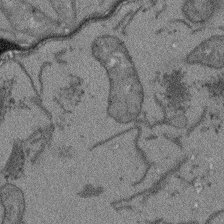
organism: Arabidopsis thaliana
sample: Root tip